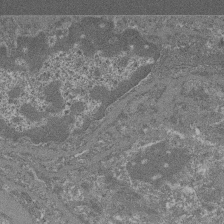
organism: Mouse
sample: Glomerulus